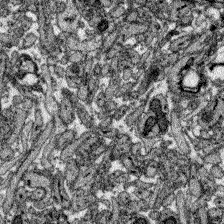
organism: Zebrafish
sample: Larval olfactory bulb